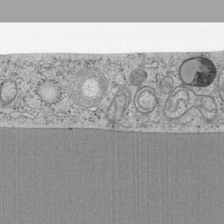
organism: Human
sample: HeLa cells